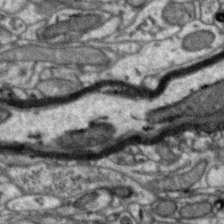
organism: Zebra finch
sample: Brain